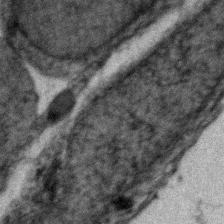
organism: Zebrafish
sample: Zebrafish embryo